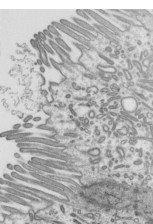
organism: Mouse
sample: Mouse epididymis efferent ductule cilia